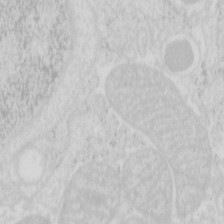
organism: Mouse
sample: Pancreas